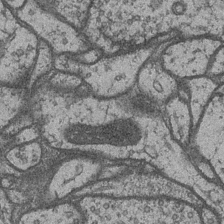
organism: Drosophila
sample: Optic medulla